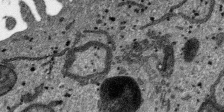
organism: Human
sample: Lung epithelial cells, uninfected (mock) control